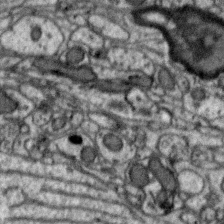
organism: Zebra finch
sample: Brain